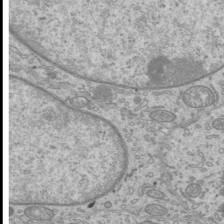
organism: Mouse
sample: Cilia; mouse epididymis